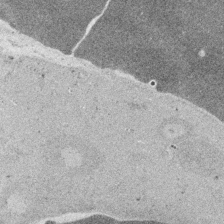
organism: Embia sp.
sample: Silk gland